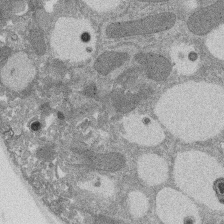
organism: Rat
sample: Salivary granule